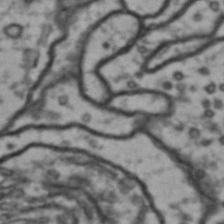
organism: Drosophila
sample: Brain